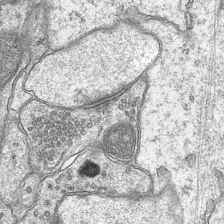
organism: Mouse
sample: CA1 Hippocampus